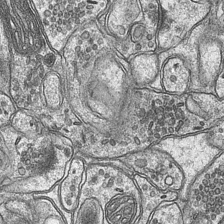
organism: Mouse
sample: CA1 Hippocampus